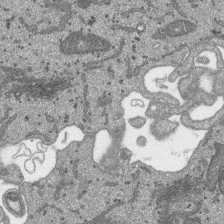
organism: Human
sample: Lung epithelial cells infected with SARS-CoV-2